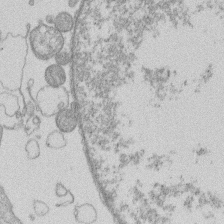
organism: Human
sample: Macrophage cells